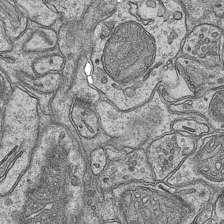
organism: Mouse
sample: CA1 Hippocampus